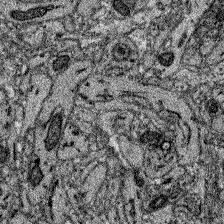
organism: Zebrafish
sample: Larval olfactory bulb